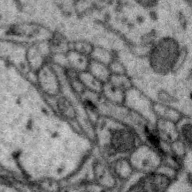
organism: Zebra finch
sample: Brain